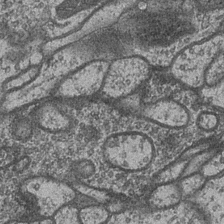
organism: Drosophila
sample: Optic medulla